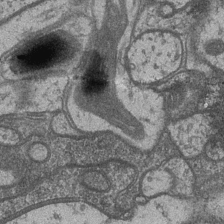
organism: Drosophila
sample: Optic medulla